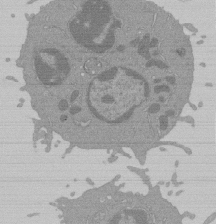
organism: Mouse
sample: Activated Pmel transgenic CD8+ T Cells